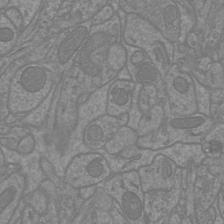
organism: Mouse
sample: Cortical neurons